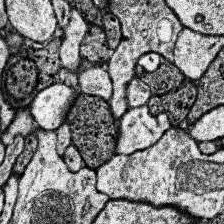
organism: Human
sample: Temporal Lobe